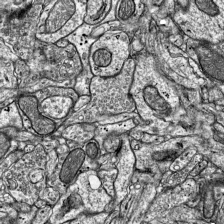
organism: Mouse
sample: Visual Cortex